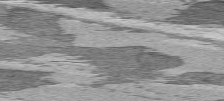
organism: C57BL Mouse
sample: Heart